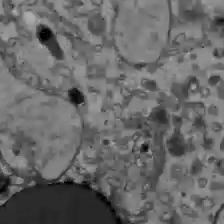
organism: C57BL Mouse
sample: Liver